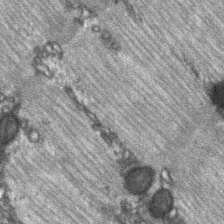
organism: C57BL Mouse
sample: Soleus